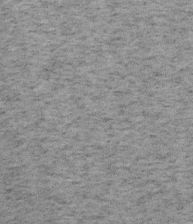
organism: Mouse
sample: OT-I killer T cells with ID8 ovarian cancer cells